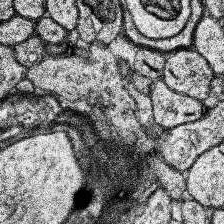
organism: Human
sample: Temporal Lobe